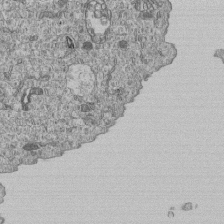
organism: Human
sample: MDA-MB-231 cells